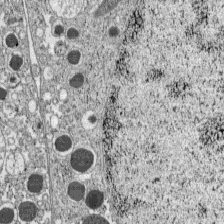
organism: C57BL Mouse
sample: Pancreatic islet